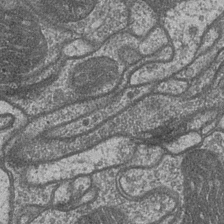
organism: Drosophila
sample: Optic medulla